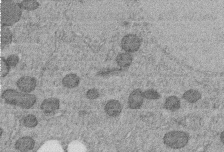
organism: C. elegans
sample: C. elegans embryo early stage